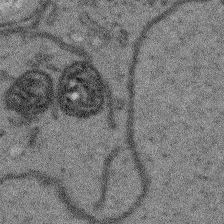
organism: Arabidopsis thaliana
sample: Root tip